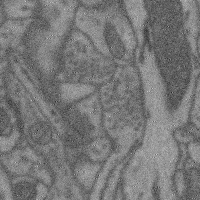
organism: Mouse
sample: Cerebral cortex